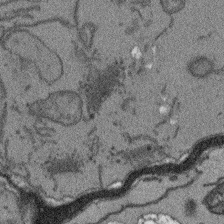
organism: Arabidopsis thaliana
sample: Root tip